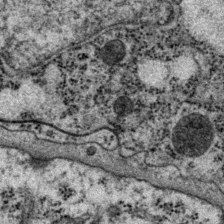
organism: P. pacificus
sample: Pharynx